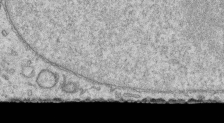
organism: Human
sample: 1205lu cells